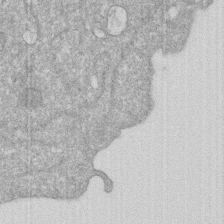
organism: Human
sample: HIV infected U937 cells